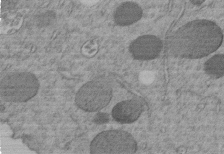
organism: C. elegans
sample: C. elegans embryo early stage